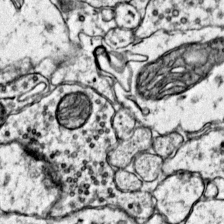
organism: Mouse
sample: Primary visual cortex